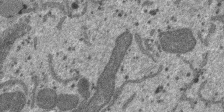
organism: Human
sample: Lung epithelial cells infected with SARS-CoV-2